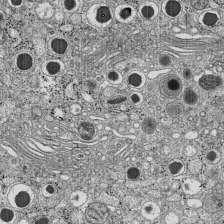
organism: C57BL Mouse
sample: Pancreatic islet